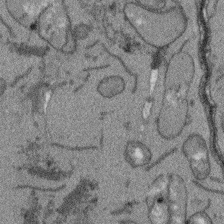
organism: Arabidopsis thaliana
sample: Root tip